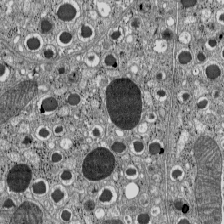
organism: C57BL Mouse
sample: Pancreatic islet